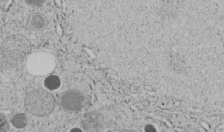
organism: C. elegans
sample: C. elegans embryo early stage